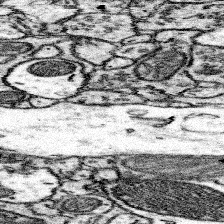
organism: Mouse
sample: Somatosensory cortex neuropil